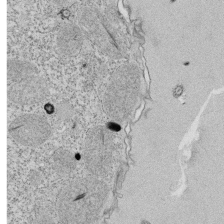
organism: Tetrahymena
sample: Cilia in tetrahymena